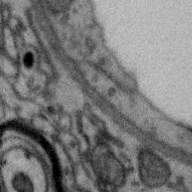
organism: Zebra finch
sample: Brain